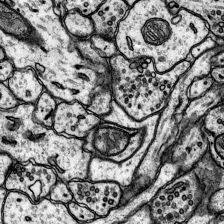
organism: Rat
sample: Hippocampus